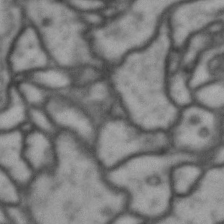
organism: Drosophila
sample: Brain